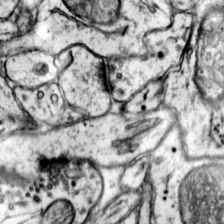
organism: Mouse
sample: Primary visual cortex